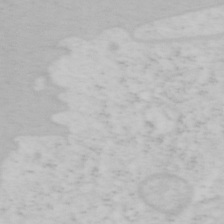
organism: Mouse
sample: OT-I killer T cells with ID8 ovarian cancer cells